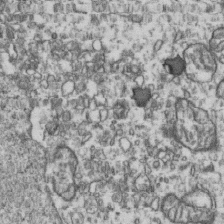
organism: Human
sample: Activated Jurkat CD4+ T cells